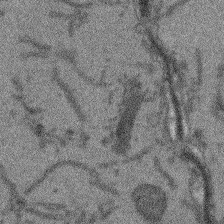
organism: Arabidopsis thaliana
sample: Root tip